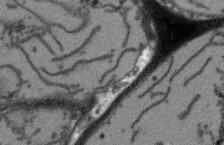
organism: Arabidopsis thaliana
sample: Root tip